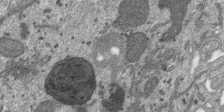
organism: Human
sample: Lung epithelial cells infected with SARS-CoV-2